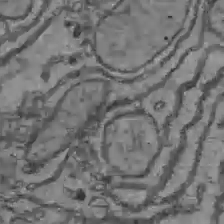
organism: C57BL Mouse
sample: Liver